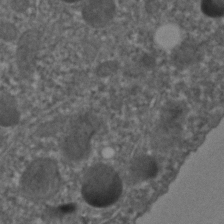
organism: C. elegans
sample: C. elegans embryo